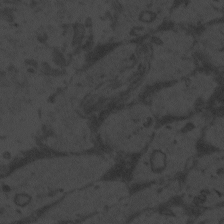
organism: Zebrafish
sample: Macrophage infected with Toxoplasma gondii